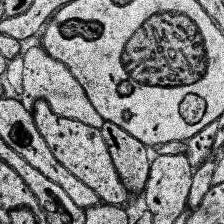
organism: Human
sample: Temporal Lobe